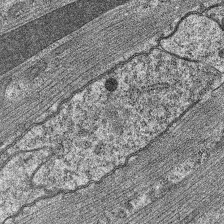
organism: C. elegans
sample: Pharynx